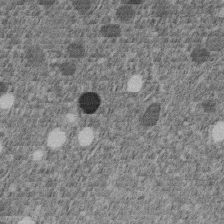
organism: C. elegans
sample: C. elegans embryo early stage